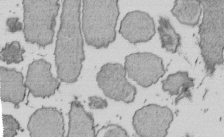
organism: E. coli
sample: Bacterial nucleoid